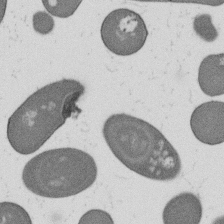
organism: B. subtilis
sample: Bacterial spore